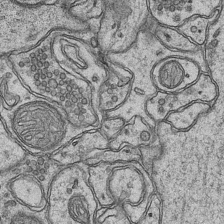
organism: Mouse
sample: CA1 Hippocampus